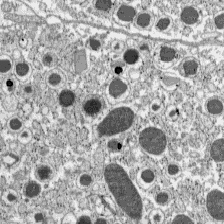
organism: C57BL Mouse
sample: Pancreatic islet